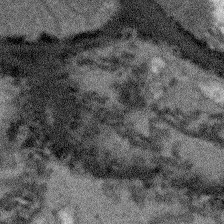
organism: Arabidopsis thaliana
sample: Root tip